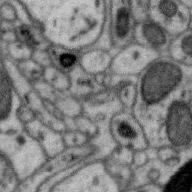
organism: Zebra finch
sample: Brain